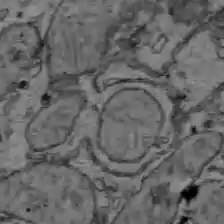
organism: C57BL Mouse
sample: Liver